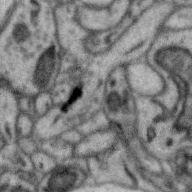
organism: Zebra finch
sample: Brain